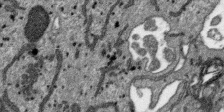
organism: Human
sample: Lung epithelial cells, uninfected (mock) control